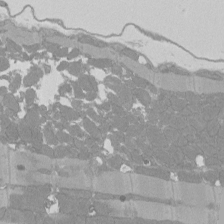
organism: Rat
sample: Left ventricle